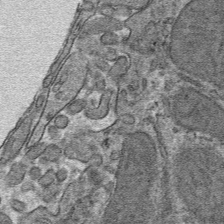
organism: Mouse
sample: Mouse hepatocytes